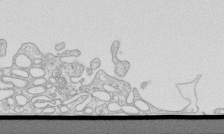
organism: Mouse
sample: Macrophages